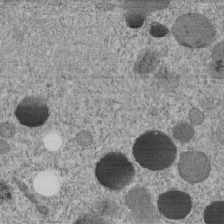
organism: C. elegans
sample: C. elegans embryo early stage